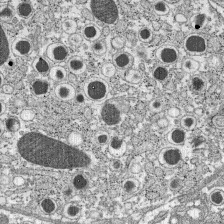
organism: C57BL Mouse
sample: Pancreatic islet